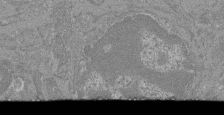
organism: Mouse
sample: Glomerulus